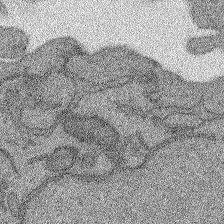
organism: Human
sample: HeLa cells